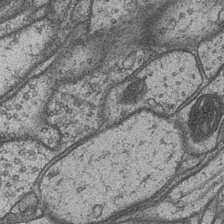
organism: Drosophila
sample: Optic medulla